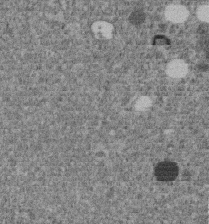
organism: C. elegans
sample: C. elegans embryo early stage